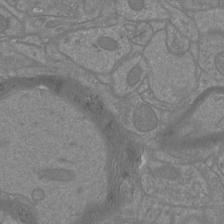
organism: Mouse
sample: Cortical neurons